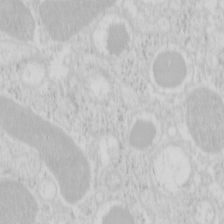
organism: Mouse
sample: Pancreas